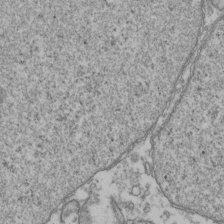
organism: Human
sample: Activated Jurkat CD4+ T cells